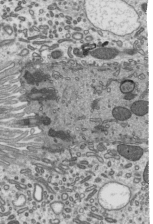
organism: Mouse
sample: Mouse epididymis efferent ductule cilia